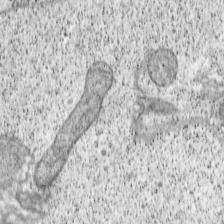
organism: African green monkey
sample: COS-7 cells